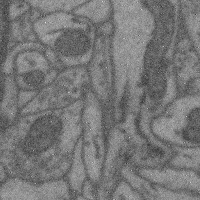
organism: Mouse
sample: Cerebral cortex